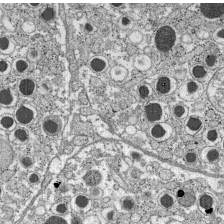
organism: C57BL Mouse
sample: Pancreatic islet